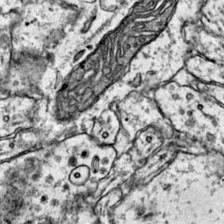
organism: Mouse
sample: Primary visual cortex